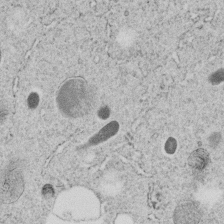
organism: C. elegans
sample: C. elegans embryo early stage